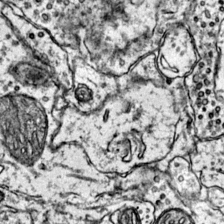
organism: Mouse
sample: Primary visual cortex